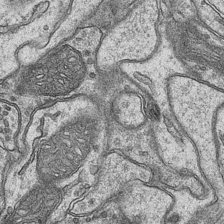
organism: Mouse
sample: CA1 Hippocampus